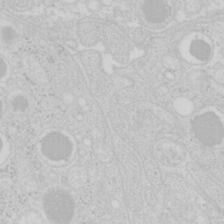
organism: Mouse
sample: Pancreas